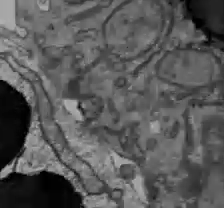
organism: C57BL Mouse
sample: Liver